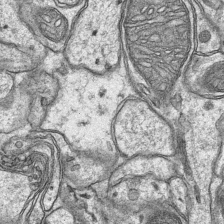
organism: Mouse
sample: CA1 Hippocampus